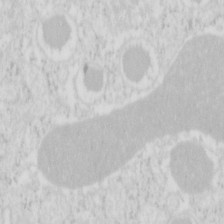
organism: Mouse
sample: Pancreas